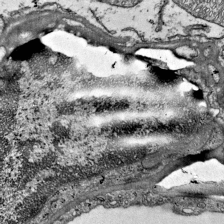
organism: Mouse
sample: Visual Cortex